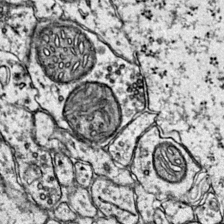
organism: Mouse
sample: Primary visual cortex